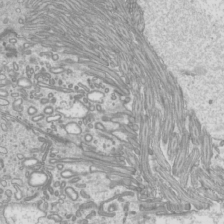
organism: Mouse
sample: Cilia; mouse epididymis